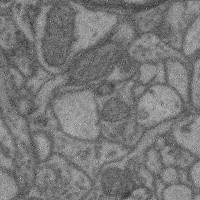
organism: Mouse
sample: Cerebral cortex